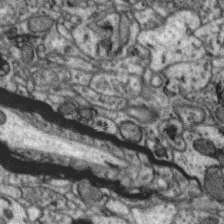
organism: Zebra finch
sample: Brain